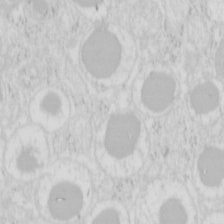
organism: Mouse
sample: Pancreas